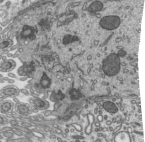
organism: Mouse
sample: Mouse epididymis efferent ductule cilia